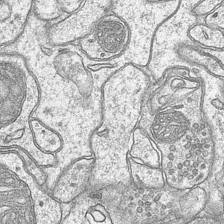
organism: Mouse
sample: CA1 Hippocampus